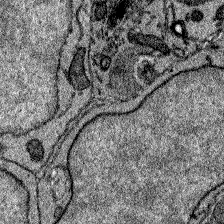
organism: Zebrafish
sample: Larval olfactory bulb